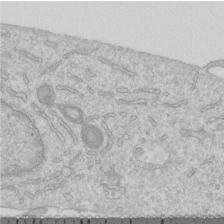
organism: Human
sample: Centriole in RPE cells